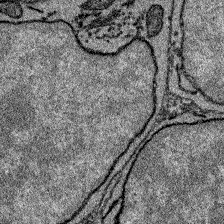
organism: Zebrafish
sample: Larval olfactory bulb